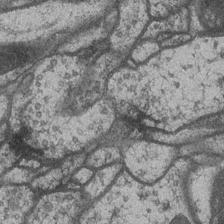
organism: Drosophila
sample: Optic medulla